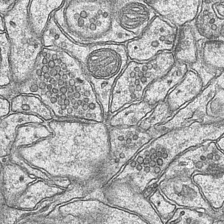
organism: Mouse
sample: CA1 Hippocampus